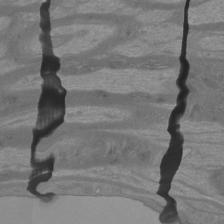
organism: Mouse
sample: Cortical neurons